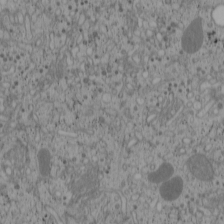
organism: African green monkey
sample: COS-7 cells